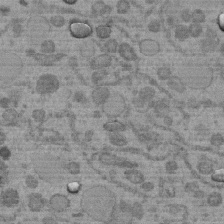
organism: C. elegans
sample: C. elegans embryo early stage